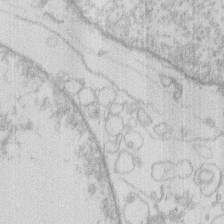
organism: Human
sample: Macrophage cells